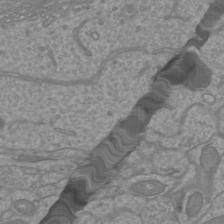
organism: Mouse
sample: Cortical neurons